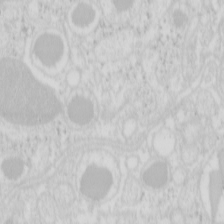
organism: Mouse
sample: Pancreas